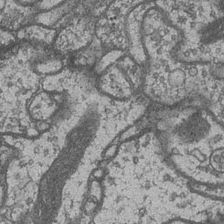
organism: Drosophila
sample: Optic medulla